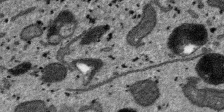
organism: Human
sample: Lung epithelial cells, uninfected (mock) control